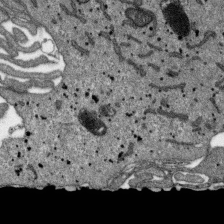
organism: Human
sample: Lung epithelial cells, uninfected (mock) control